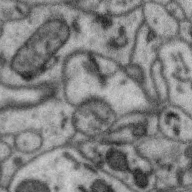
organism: Zebra finch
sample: Brain